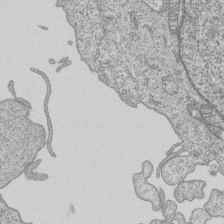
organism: Human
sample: MDA-MB-231 cells